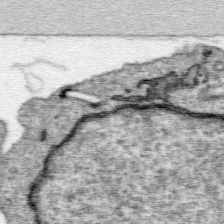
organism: Human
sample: HeLa cells